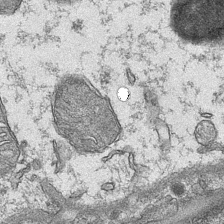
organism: Mouse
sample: CA1 Hippocampus